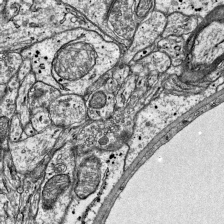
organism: Mouse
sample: Visual Cortex